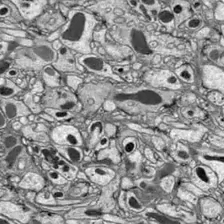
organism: Drosophila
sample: Optic lobe